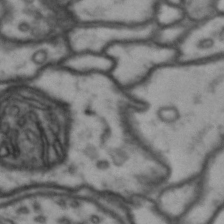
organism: Drosophila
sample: Brain